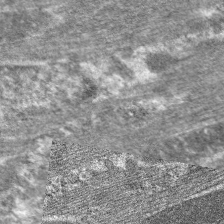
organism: C. elegans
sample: Pharynx